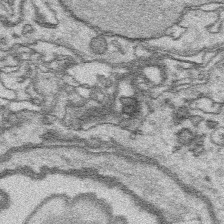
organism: Platynereis dumerilii